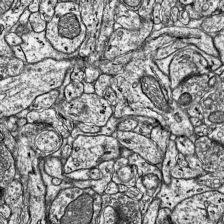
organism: Mouse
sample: Visual Cortex